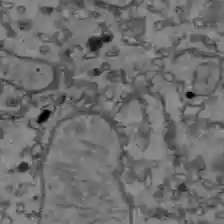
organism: C57BL Mouse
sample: Liver